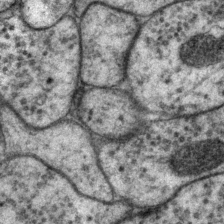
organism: P. pacificus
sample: Pharynx